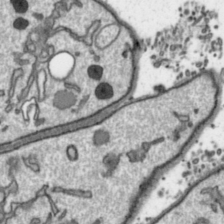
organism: Toxoplasma gondii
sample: Parasites in a vacuole inside a host cell